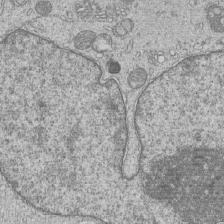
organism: Human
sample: MDA-MB-231 cells